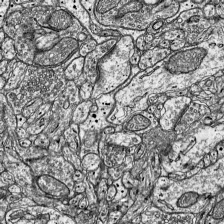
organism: Mouse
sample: Visual Cortex